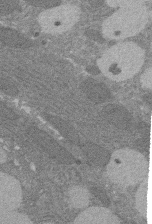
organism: Rat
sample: Salivary granule